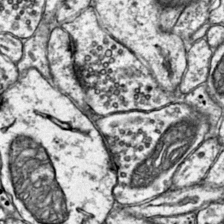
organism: Mouse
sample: Primary visual cortex